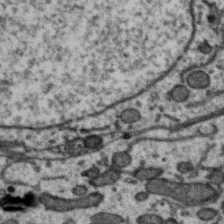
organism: Zebra finch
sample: Brain